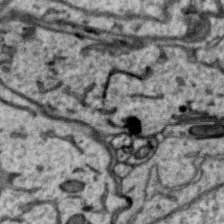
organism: Zebra finch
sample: Brain